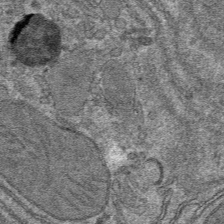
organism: Mouse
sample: Mouse hepatocytes